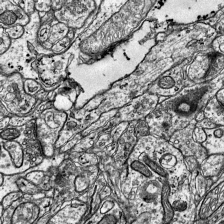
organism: Mouse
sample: Visual Cortex